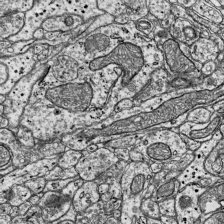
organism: Mouse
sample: Visual Cortex